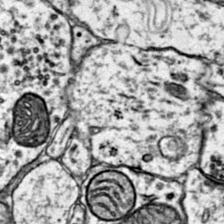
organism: Mouse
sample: Primary visual cortex